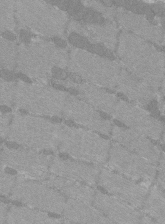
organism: C57BL Mouse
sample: Tibialis anterior muscle cell